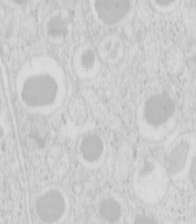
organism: Mouse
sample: Pancreas